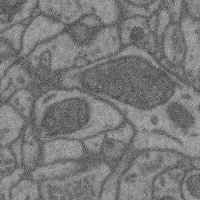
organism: Mouse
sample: Cerebral cortex